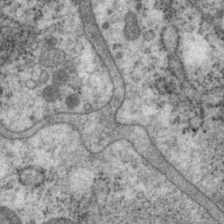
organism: P. pacificus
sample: Pharynx